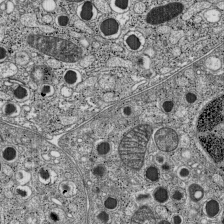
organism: C57BL Mouse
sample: Pancreatic islet